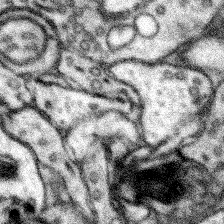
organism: Mouse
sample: Somatosensory cortex neuropil